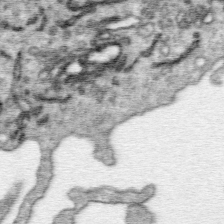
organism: Human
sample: HeLa cells